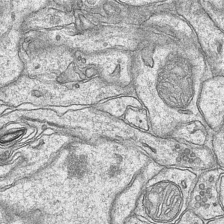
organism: Mouse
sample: CA1 Hippocampus